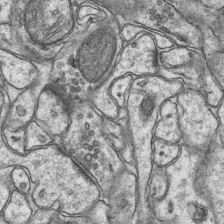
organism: Mouse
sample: CA1 Hippocampus